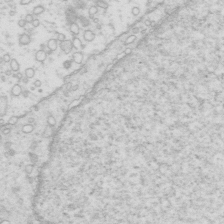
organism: Mouse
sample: Multiciliated cells